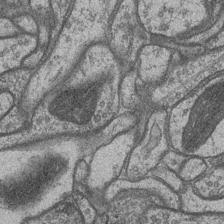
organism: Drosophila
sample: Optic medulla